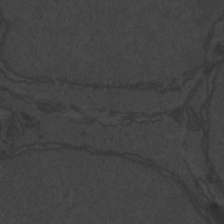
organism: Zebrafish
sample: Macrophage infected with Toxoplasma gondii